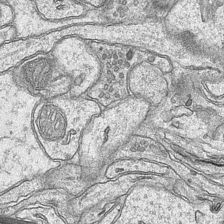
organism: Mouse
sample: CA1 Hippocampus